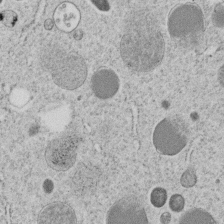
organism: C. elegans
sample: C. elegans embryo early stage